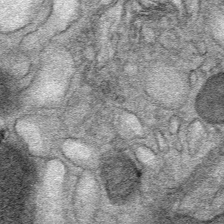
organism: Mouse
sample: Mouse Salivary gland